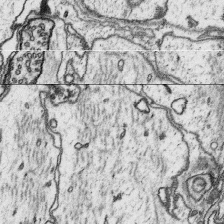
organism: Platynereis dumerilii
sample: Parapodia